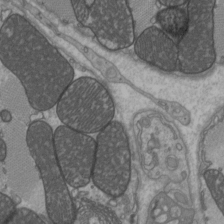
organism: C57BL Mouse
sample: Heart